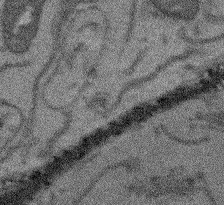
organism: Arabidopsis thaliana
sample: Root tip